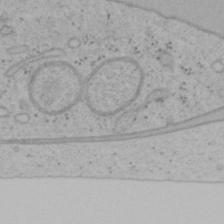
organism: Human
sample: HeLa cells